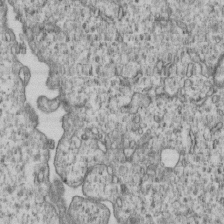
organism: Human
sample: MDA-MB-231 cells